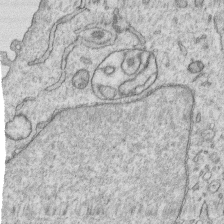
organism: Human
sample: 1205lu cells